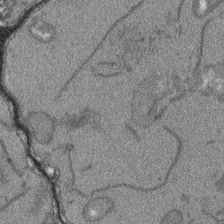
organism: Arabidopsis thaliana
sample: Root tip